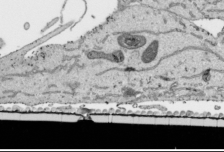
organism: Human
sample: Mitochondria in HCT116 cells